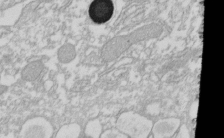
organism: Xenopus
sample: Cilia; centrioles in frog embryo cells